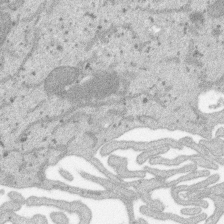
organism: Human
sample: Lung epithelial cells infected with SARS-CoV-2